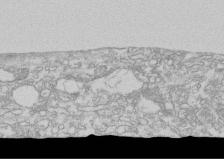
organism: Human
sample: CRL-1474